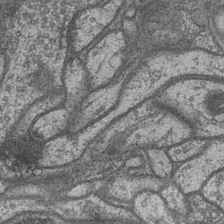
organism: Drosophila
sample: Optic medulla